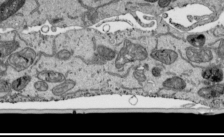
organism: Human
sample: Mitochondria in HCT116 cells